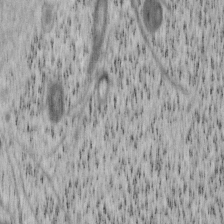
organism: Human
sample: HeLa cells